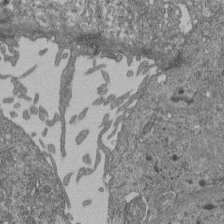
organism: Human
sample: Retinal organoid Rod and Cone cells